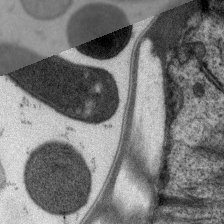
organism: C. elegans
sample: Pharynx